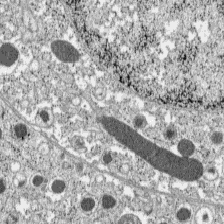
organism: C57BL Mouse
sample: Pancreatic islet